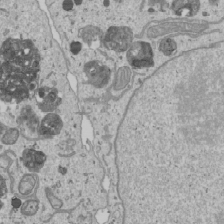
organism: Human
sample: Mitochondria in U2OS cells